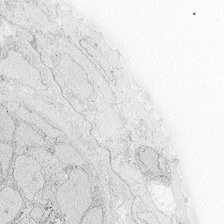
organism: Zebrafish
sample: Whole-Brain